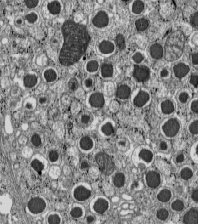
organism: C57BL Mouse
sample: Pancreatic islet